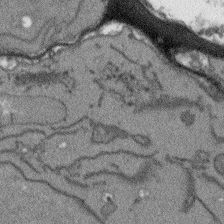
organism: Arabidopsis thaliana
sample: Root tip